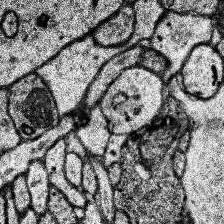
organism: Human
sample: Temporal Lobe